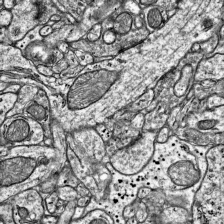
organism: Mouse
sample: Visual Cortex